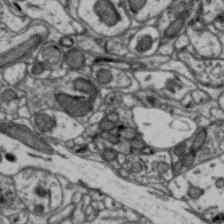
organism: Zebra finch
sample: Brain